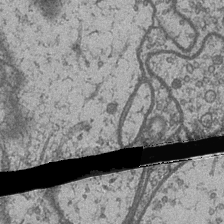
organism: Drosophila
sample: Optic medulla